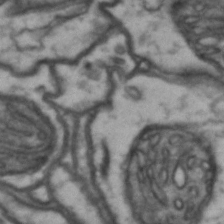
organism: Drosophila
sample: Brain